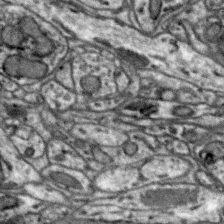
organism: Zebra finch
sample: Brain